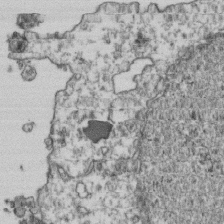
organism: Human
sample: Activated Jurkat CD4+ T cells